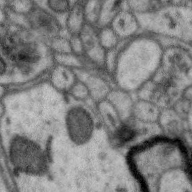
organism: Zebra finch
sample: Brain